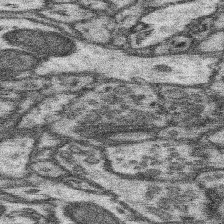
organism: Mouse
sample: Somatosensory cortex neuropil